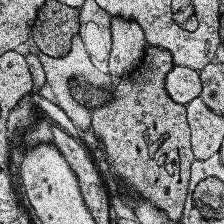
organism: Human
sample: Temporal Lobe